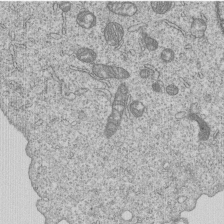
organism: Human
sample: MDA-MB-231 cells